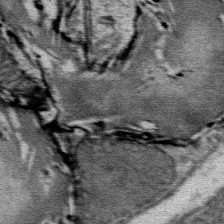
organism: Mouse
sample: Mouse Salivary gland